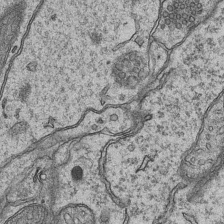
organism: Mouse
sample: CA1 Hippocampus